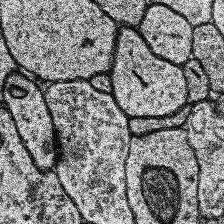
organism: Human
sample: Temporal Lobe